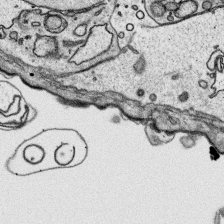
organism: Platynereis dumerilii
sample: Parapodia